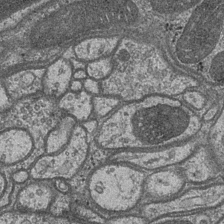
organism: Drosophila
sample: Optic medulla